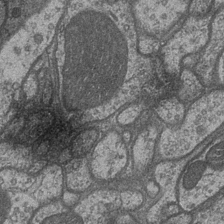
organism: Drosophila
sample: Optic medulla